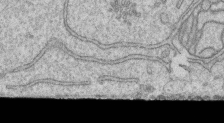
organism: Human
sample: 1205lu cells